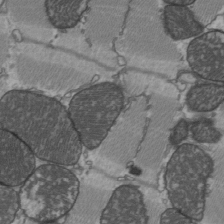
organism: C57BL Mouse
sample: Heart